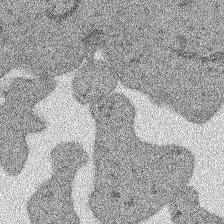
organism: Human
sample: HeLa cells